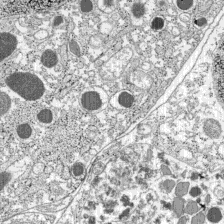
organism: C57BL Mouse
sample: Pancreatic islet